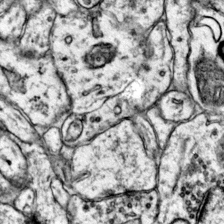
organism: Mouse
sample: Primary visual cortex